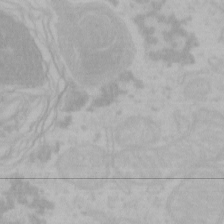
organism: Mouse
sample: Choroid plexus